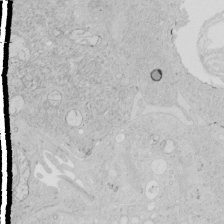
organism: Human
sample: Mitochondria in HCT116 cells